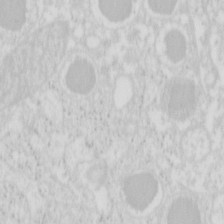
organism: Mouse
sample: Pancreas